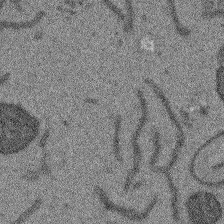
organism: Arabidopsis thaliana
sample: Root tip